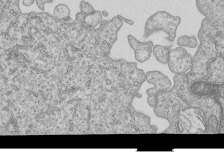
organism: Human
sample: MDA-MB-231 cells